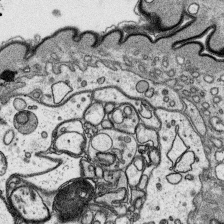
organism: Platynereis dumerilii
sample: Parapodia